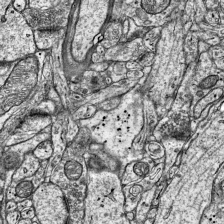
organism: Mouse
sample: Visual Cortex